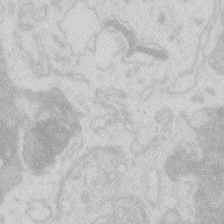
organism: Zebrafish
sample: Macrophage